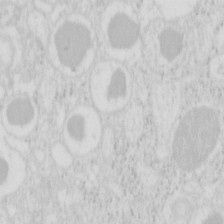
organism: Mouse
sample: Pancreas